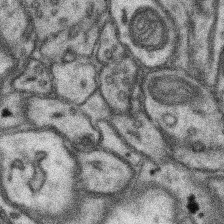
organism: Mouse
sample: Somatosensory cortex neuropil